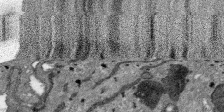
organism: Human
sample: Lung epithelial cells, uninfected (mock) control